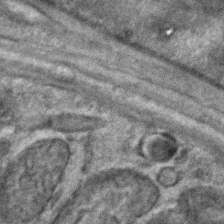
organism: C. elegans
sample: C. elegans embryo